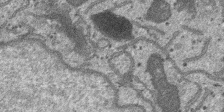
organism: Human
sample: Lung epithelial cells infected with SARS-CoV-2